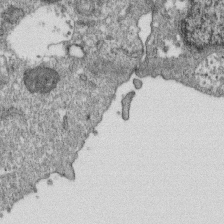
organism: African green monkey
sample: Vero E6 cells infected with SARS-CoV-2